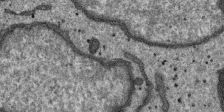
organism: Human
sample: Lung epithelial cells, uninfected (mock) control